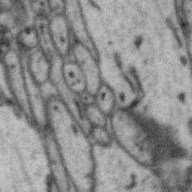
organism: Zebra finch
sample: Brain